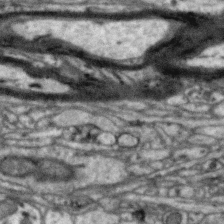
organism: Zebra finch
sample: Brain